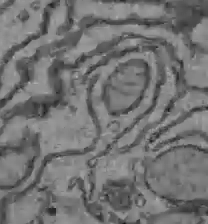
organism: C57BL Mouse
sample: Liver